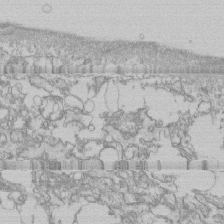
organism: Human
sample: CRL-1474